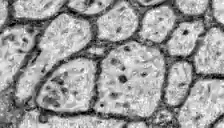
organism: Zebrafish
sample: Brain